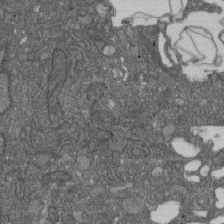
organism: Drosophila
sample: Nephrocyte